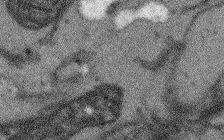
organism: Arabidopsis thaliana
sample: Root tip